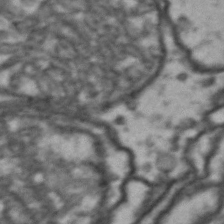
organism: Drosophila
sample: Brain